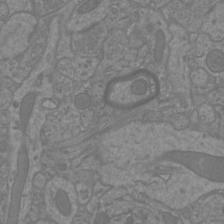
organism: Mouse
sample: Cortical neurons